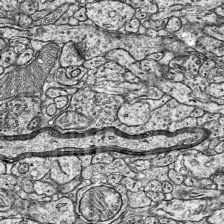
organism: Mouse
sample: Visual Cortex